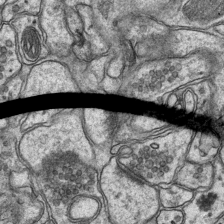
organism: Mouse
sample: CA1 Hippocampus